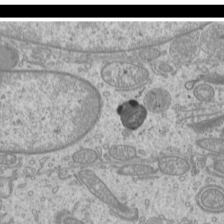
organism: Mouse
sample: Cilia; mouse epididymis